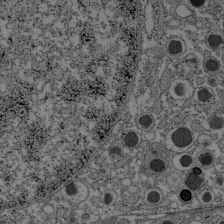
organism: C57BL Mouse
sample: Pancreatic islet